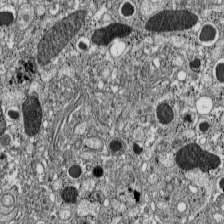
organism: C57BL Mouse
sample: Pancreatic islet